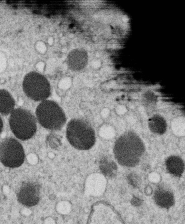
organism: C. elegans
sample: C. elegans oocyte; sperm cells